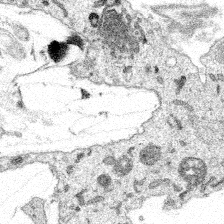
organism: Spongilla lacustris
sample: Multiple